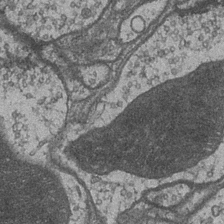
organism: Drosophila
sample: Optic medulla